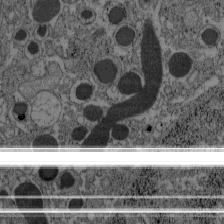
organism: C57BL Mouse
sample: Pancreatic islet